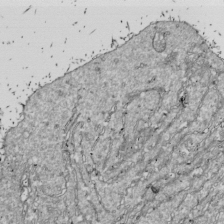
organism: Drosophila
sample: Cell division; meiosis; drosophila spermatocytes